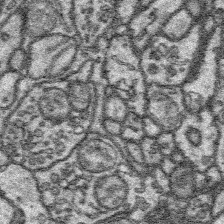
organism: Platynereis dumerilii